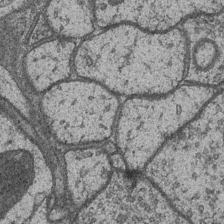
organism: Drosophila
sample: Optic medulla